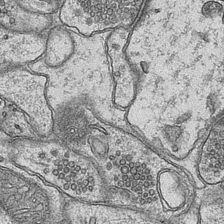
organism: Mouse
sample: CA1 Hippocampus